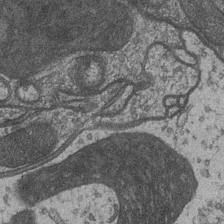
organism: Drosophila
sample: Optic medulla